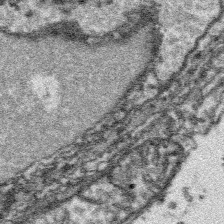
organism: Platynereis dumerilii